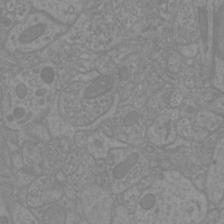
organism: Mouse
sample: Cortical neurons